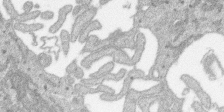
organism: Human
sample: Lung epithelial cells infected with SARS-CoV-2